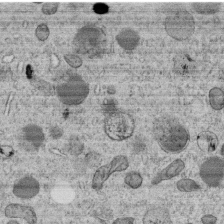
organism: C. elegans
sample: C. elegans embryo early stage